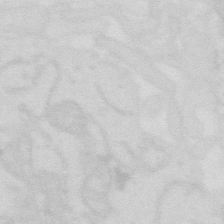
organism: Human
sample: HeLa cells